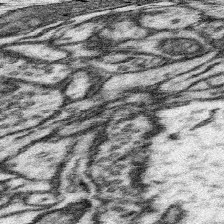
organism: Mouse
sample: Somatosensory cortex neuropil